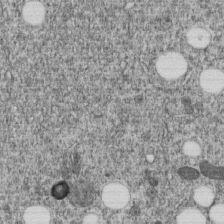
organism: C. elegans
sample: C. elegans embryo early stage